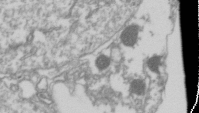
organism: Drosophila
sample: Cell division; meiosis; drosophila spermatocytes